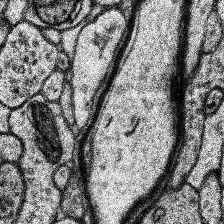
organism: Human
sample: Temporal Lobe